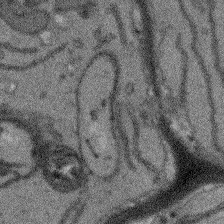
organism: Arabidopsis thaliana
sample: Root tip